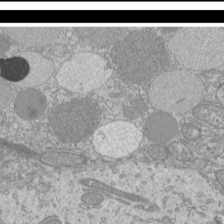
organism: Mouse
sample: Cilia; mouse epididymis